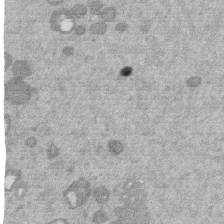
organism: Mouse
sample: Dividing mouse embryo 1 cell stage